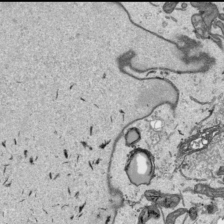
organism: Human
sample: Mitochondria in HCT116 cells